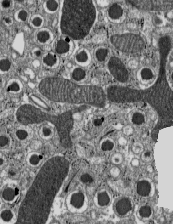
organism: C57BL Mouse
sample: Pancreatic islet